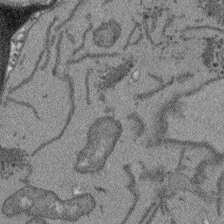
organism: Arabidopsis thaliana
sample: Root tip